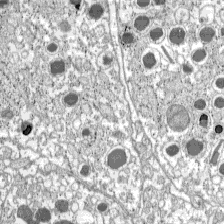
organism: C57BL Mouse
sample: Pancreatic islet